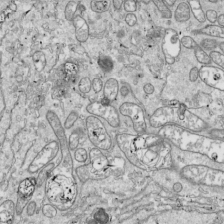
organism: Drosophila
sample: Cell division; meiosis; drosophila spermatocytes